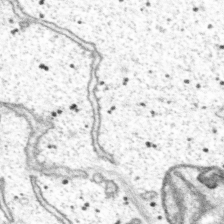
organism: Human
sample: HeLa cells